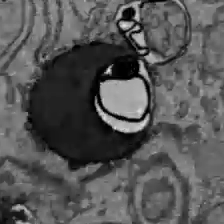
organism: C57BL Mouse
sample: Liver